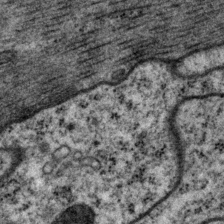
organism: P. pacificus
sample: Pharynx